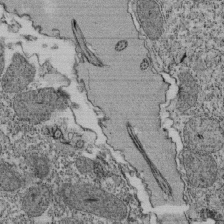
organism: Tetrahymena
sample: Cilia in tetrahymena